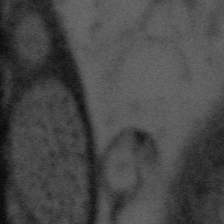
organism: Tuwongella immobilis